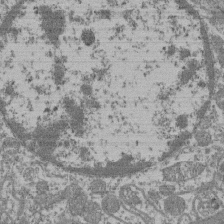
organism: Mouse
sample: Glomerulus